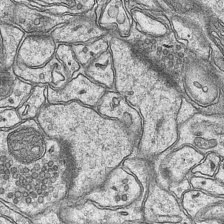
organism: Mouse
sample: CA1 Hippocampus